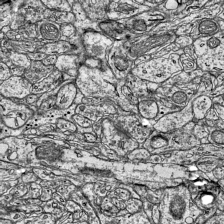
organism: Mouse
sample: Visual Cortex